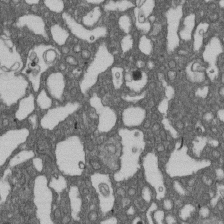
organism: Drosophila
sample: Nephrocyte